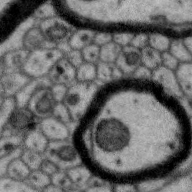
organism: Zebra finch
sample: Brain